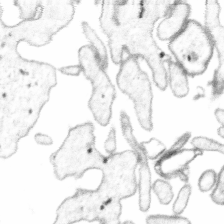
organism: Human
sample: HeLa cells